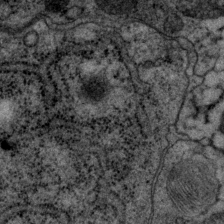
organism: P. pacificus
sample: Pharynx